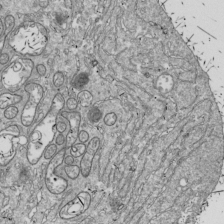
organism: Drosophila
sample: Cell division; meiosis; drosophila spermatocytes